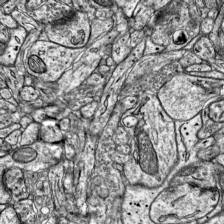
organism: Mouse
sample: Visual Cortex